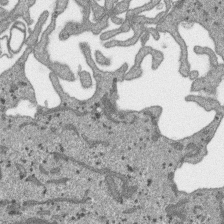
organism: Human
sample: Lung epithelial cells infected with SARS-CoV-2